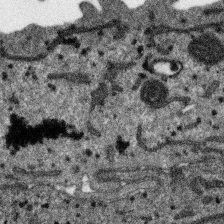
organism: Human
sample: Lung epithelial cells infected with SARS-CoV-2